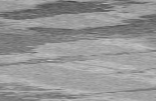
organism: C57BL Mouse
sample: Heart